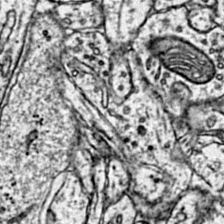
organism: Mouse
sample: Primary visual cortex